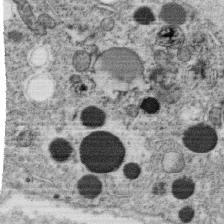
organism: C. elegans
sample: C. elegans oocyte; sperm cells